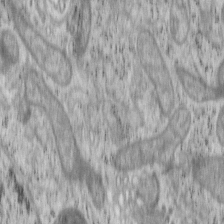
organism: Human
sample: HeLa cells